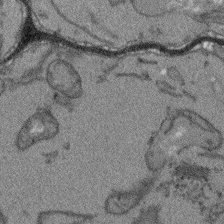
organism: Arabidopsis thaliana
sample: Root tip